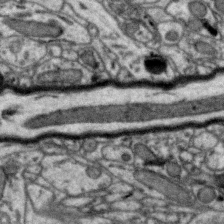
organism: Zebra finch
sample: Brain